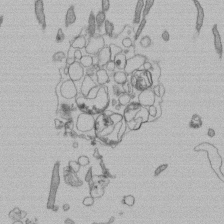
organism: Human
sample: Retinal organoid Rod and Cone cells